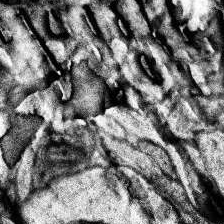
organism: Human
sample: Temporal Lobe